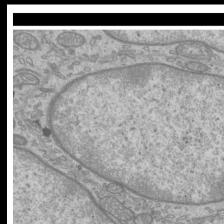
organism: Mouse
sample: Cilia; mouse epididymis